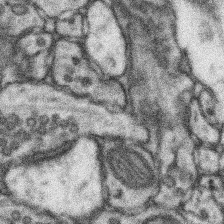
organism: Mouse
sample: Somatosensory cortex neuropil